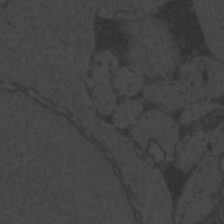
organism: Zebrafish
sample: Macrophage infected with Toxoplasma gondii